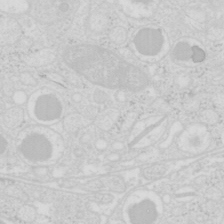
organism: Mouse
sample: Pancreas